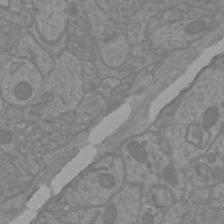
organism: Mouse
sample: Cortical neurons